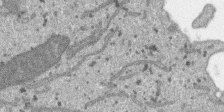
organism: Human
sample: Lung epithelial cells infected with SARS-CoV-2